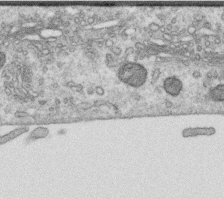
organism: Human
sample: Centriole in RPE cells